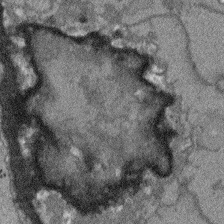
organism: Arabidopsis thaliana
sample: Root tip